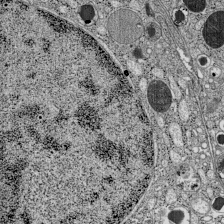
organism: C57BL Mouse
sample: Pancreatic islet